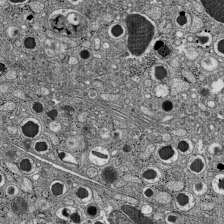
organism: C57BL Mouse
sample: Pancreatic islet